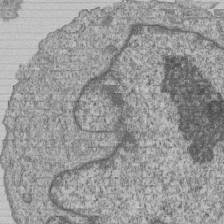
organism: Human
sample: MDA-MB-231 cells